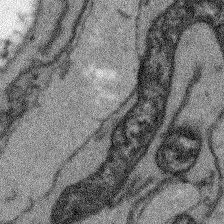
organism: Arabidopsis thaliana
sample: Root tip